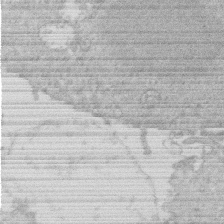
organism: Human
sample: Macrophage cells